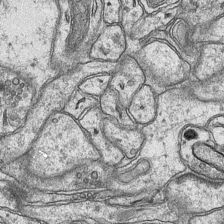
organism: Mouse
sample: CA1 Hippocampus